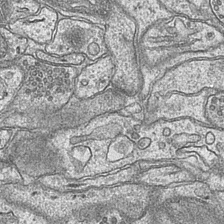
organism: Mouse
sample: CA1 Hippocampus